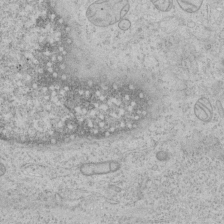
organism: Human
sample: Mitochondria in HCT116 cells